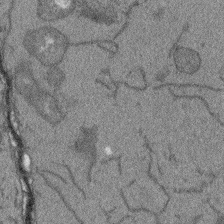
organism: Arabidopsis thaliana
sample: Root tip